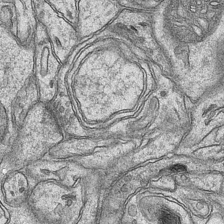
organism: Mouse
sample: CA1 Hippocampus